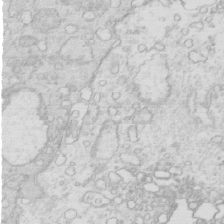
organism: Mouse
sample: Multiciliated cells